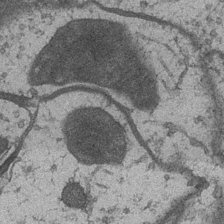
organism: Drosophila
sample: Optic medulla